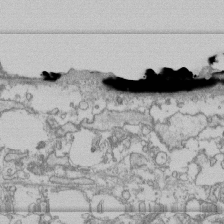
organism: Human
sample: Fibroblast cells